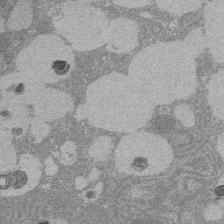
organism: Rat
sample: Salivary granule